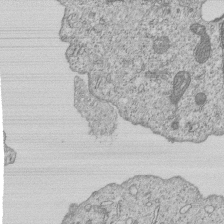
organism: Human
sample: MDA-MB-231 cells